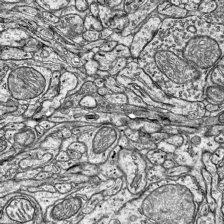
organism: Mouse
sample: Visual Cortex